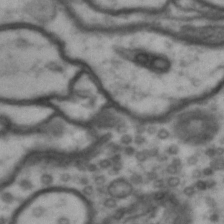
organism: Drosophila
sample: Brain